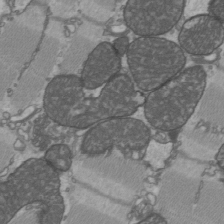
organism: C57BL Mouse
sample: Heart